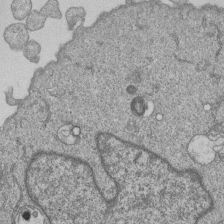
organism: Human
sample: MDA-MB-231 cells